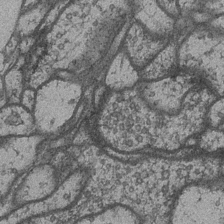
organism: Drosophila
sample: Optic medulla